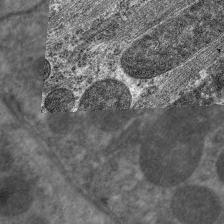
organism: C. elegans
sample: Pharynx